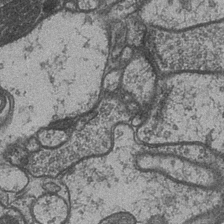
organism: Drosophila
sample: Optic medulla